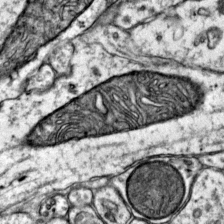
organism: Mouse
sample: Primary visual cortex